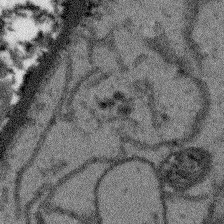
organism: Arabidopsis thaliana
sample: Root tip